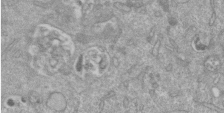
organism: Mouse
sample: ED-1 cell nuclei; centrioles